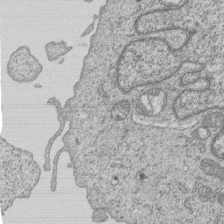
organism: Human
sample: MDA-MB-231 cells